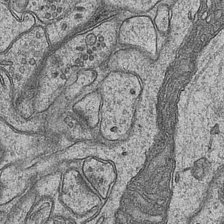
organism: Mouse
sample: CA1 Hippocampus